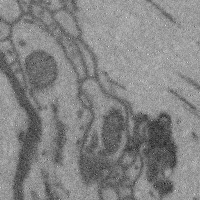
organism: Mouse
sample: Cerebral cortex